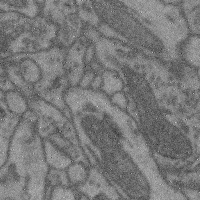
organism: Mouse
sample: Cerebral cortex